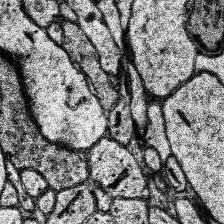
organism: Human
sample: Temporal Lobe